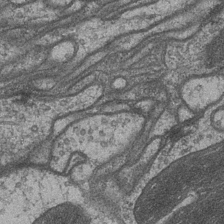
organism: Drosophila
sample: Optic medulla